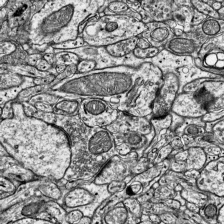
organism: Mouse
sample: Visual Cortex